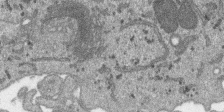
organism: Human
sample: Lung epithelial cells infected with SARS-CoV-2